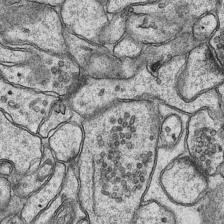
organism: Mouse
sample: CA1 Hippocampus